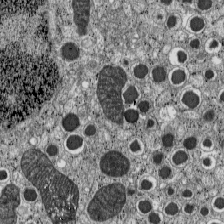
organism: C57BL Mouse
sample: Pancreatic islet